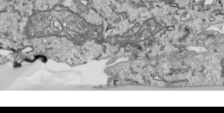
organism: Human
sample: Mitochondria in HCT116 cells